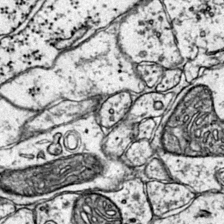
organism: Mouse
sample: Primary visual cortex